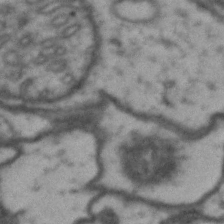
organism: Drosophila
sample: Brain